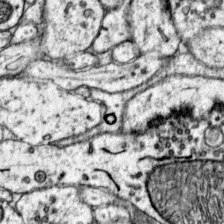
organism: Mouse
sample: Primary visual cortex